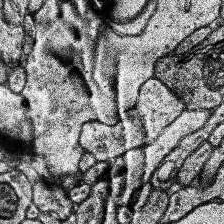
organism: Human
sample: Temporal Lobe